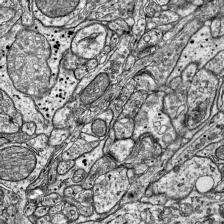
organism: Mouse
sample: Visual Cortex